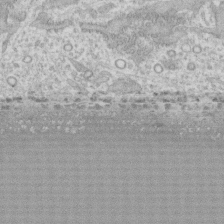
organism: Human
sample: CRL-1474